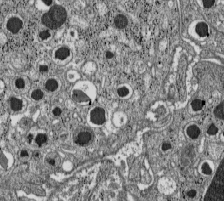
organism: C57BL Mouse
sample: Pancreatic islet